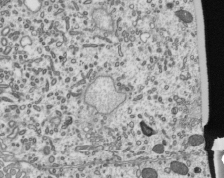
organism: Mouse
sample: Mouse epididymis efferent ductule cilia